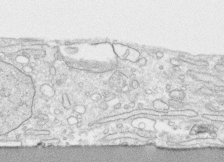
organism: Human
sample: CRL-1474